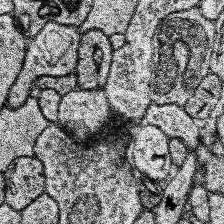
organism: Human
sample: Temporal Lobe